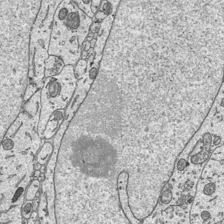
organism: Mouse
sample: Suprachiasmatic nucleus